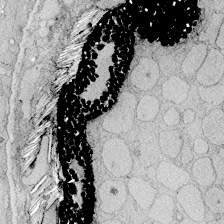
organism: Zebrafish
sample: Whole-Brain